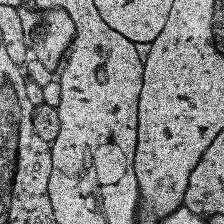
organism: Human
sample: Temporal Lobe